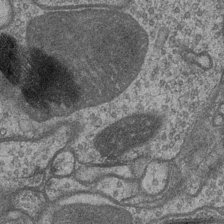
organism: Drosophila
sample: Optic medulla